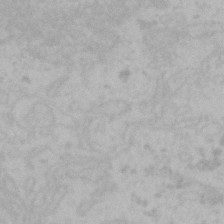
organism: Mouse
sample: Choroid plexus